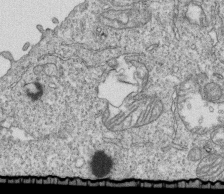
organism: Human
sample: HeLa cell HIV synapse